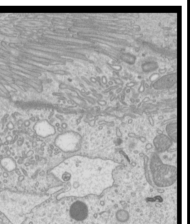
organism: Mouse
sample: Cilia; mouse epididymis